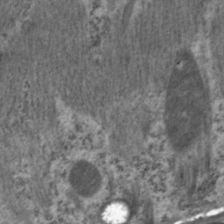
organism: C. elegans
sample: Pharynx